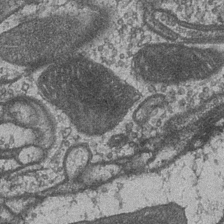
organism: Drosophila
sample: Optic medulla